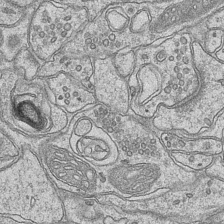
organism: Mouse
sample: CA1 Hippocampus